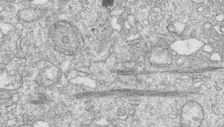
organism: Human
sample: HeLa cell HIV synapse